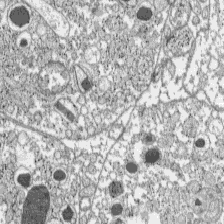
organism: C57BL Mouse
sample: Pancreatic islet